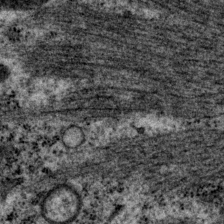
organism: P. pacificus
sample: Pharynx